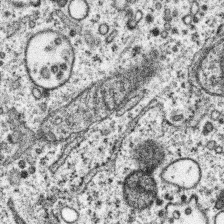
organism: Human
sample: HeLa cells